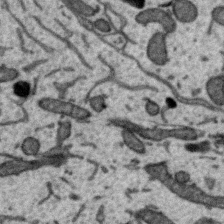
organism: Zebra finch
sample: Brain